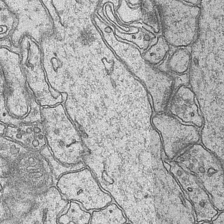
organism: Mouse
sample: CA1 Hippocampus